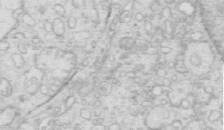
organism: Mouse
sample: Multiciliated cells